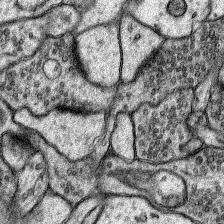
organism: Rat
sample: Hippocampus